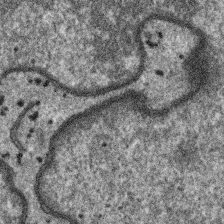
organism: Human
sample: Lung epithelial cells infected with SARS-CoV-2